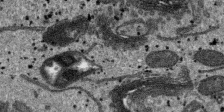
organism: Human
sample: Lung epithelial cells, uninfected (mock) control